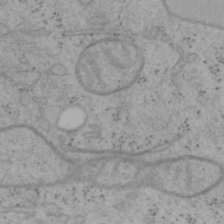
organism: Human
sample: HeLa cells